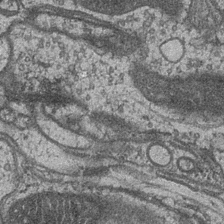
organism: Drosophila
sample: Optic medulla